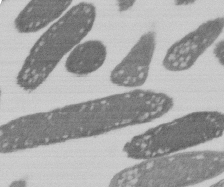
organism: E. coli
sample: Bacterial nucleoid